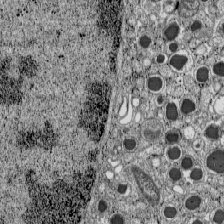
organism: C57BL Mouse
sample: Pancreatic islet